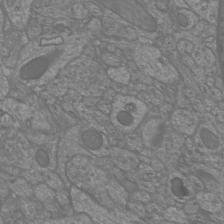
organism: Mouse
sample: Cortical neurons